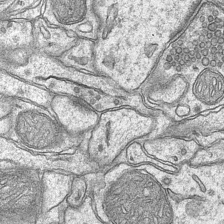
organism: Mouse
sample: CA1 Hippocampus